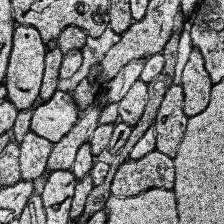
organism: Human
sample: Temporal Lobe